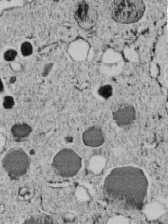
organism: C. elegans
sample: C. elegans embryo early stage